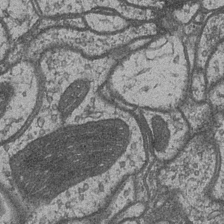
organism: Drosophila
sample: Optic medulla